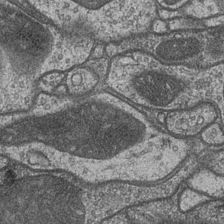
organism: Drosophila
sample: Optic medulla